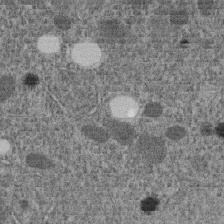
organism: C. elegans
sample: C. elegans embryo early stage